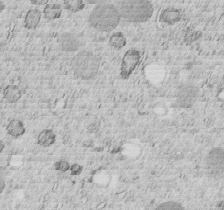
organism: C. elegans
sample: C. elegans embryo early stage